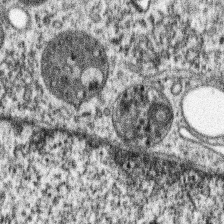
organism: Human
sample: HeLa cells